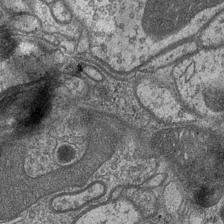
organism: Drosophila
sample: Optic medulla